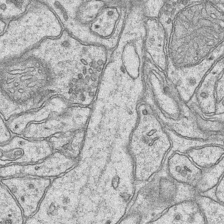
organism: Mouse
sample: CA1 Hippocampus